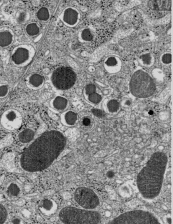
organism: C57BL Mouse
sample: Pancreatic islet